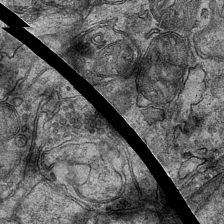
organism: Mouse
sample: CA1 Hippocampus